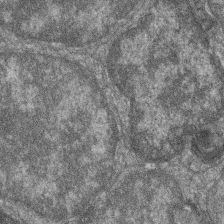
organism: Zebrafish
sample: Cilia; retinal pigment epithelium